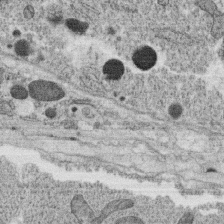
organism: C. elegans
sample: C. elegans oocyte; sperm cells